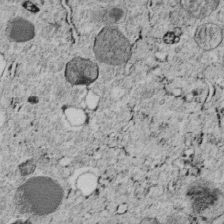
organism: C. elegans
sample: C. elegans embryo early stage